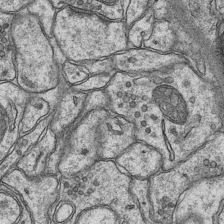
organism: Mouse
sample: CA1 Hippocampus